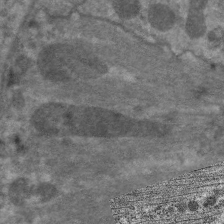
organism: C. elegans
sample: Pharynx